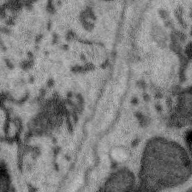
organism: Zebra finch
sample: Brain